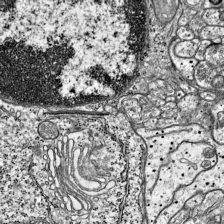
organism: Mouse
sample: Visual Cortex